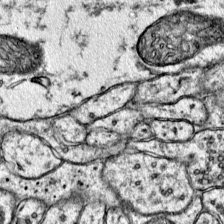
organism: Mouse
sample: Primary visual cortex